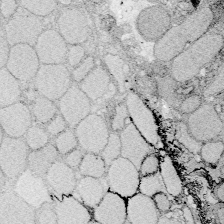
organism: Zebrafish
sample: Whole-Brain